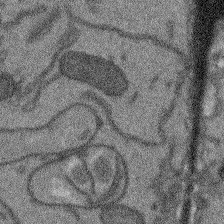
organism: Arabidopsis thaliana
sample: Root tip